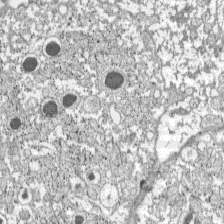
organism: C57BL Mouse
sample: Pancreatic islet